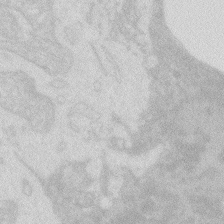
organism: Zebrafish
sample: Macrophage